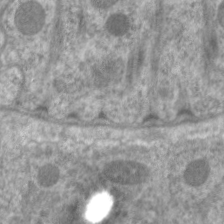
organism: C. elegans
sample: Pharynx